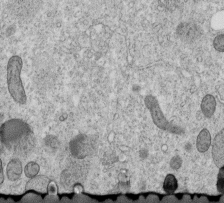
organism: C. elegans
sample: C. elegans embryo early stage